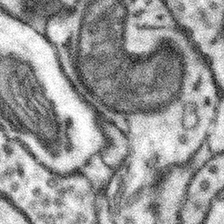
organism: Mouse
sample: Somatosensory cortex neuropil